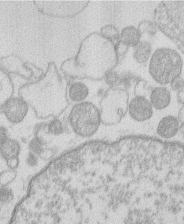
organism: Human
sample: Macrophage cells